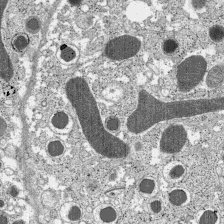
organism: C57BL Mouse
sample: Pancreatic islet